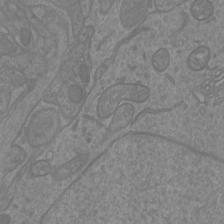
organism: Mouse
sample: Cortical neurons